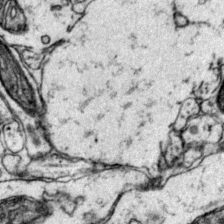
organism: Mouse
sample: Primary visual cortex